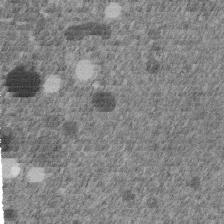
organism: C. elegans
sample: C. elegans embryo early stage